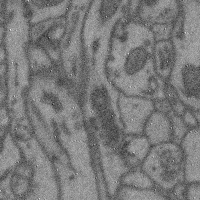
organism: Mouse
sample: Cerebral cortex